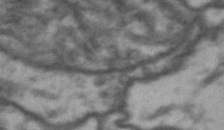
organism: Drosophila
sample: Brain